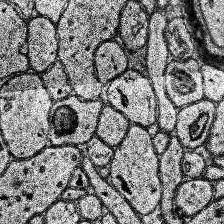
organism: Human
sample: Temporal Lobe